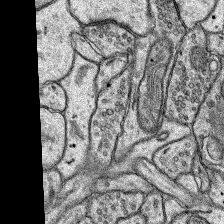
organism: Rat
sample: Hippocampus